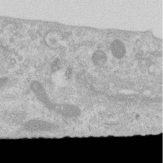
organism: Human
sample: Centriole in RPE cells